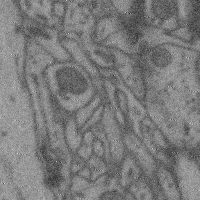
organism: Mouse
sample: Cerebral cortex